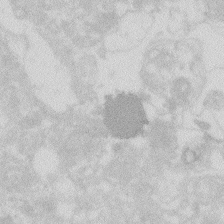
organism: Zebrafish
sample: Macrophage